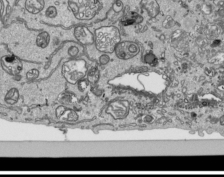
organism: Human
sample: Mitochondria in HCT116 cells